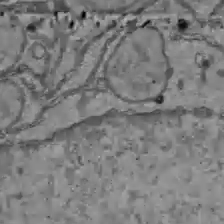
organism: C57BL Mouse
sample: Liver